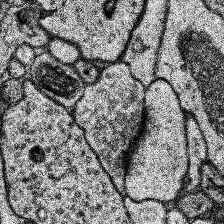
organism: Human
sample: Temporal Lobe